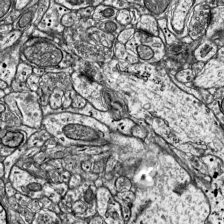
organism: Mouse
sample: Visual Cortex